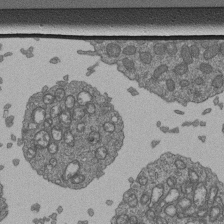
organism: Human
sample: Retinal organoid Rod and Cone cells